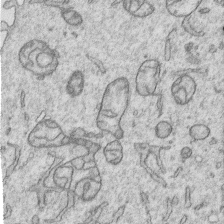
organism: Human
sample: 1205lu cells